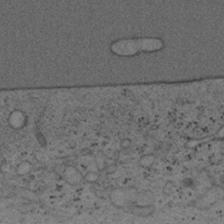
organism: Human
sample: HeLa cells